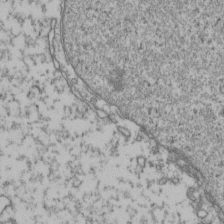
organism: Human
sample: Activated Jurkat CD4+ T cells